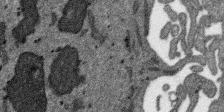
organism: Human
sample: Lung epithelial cells infected with SARS-CoV-2